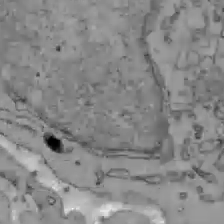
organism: C57BL Mouse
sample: Liver